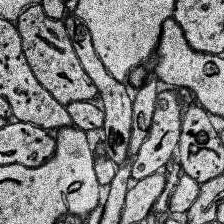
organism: Human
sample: Temporal Lobe